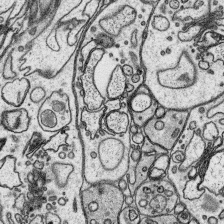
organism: Platynereis dumerilii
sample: Parapodia